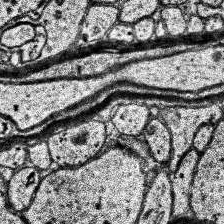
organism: Human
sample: Temporal Lobe